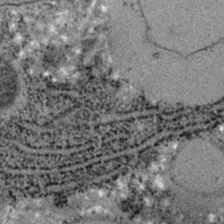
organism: C. elegans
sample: C. elegans embryo